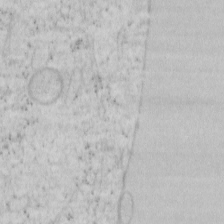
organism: Human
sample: HeLa cells